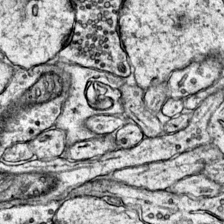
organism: Mouse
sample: Primary visual cortex